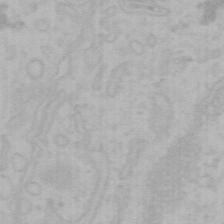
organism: Mouse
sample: Choroid plexus